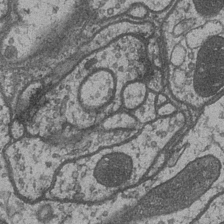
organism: Drosophila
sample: Optic medulla